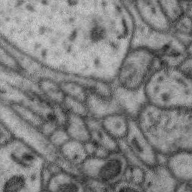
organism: Zebra finch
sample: Brain